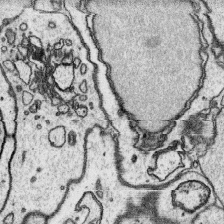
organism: Platynereis dumerilii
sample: Parapodia